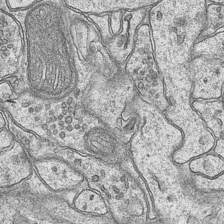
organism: Mouse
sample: CA1 Hippocampus